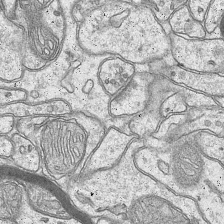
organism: Mouse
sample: CA1 Hippocampus